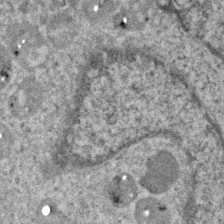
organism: Human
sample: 1205lu cells